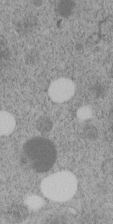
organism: C. elegans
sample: C. elegans embryo early stage